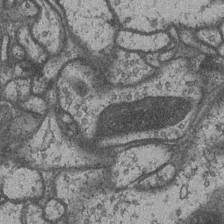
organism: Drosophila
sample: Optic medulla